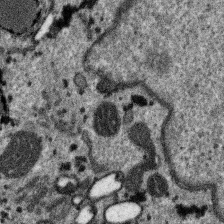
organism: Human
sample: Lung epithelial cells infected with SARS-CoV-2